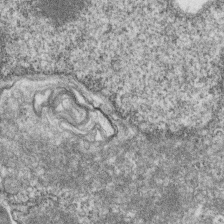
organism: Zebrafish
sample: Cilia; retinal pigment epithelium